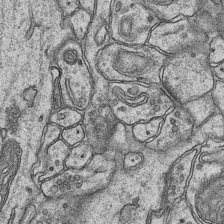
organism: Mouse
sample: CA1 Hippocampus